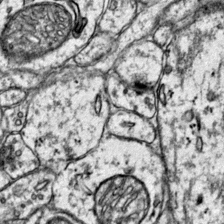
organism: Mouse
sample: Primary visual cortex